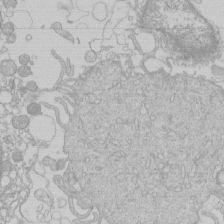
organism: Human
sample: Macrophage cells